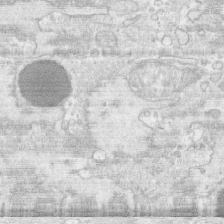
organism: Human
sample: CRL-1474